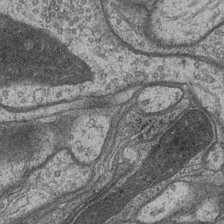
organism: Drosophila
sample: Optic medulla